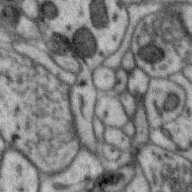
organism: Zebra finch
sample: Brain